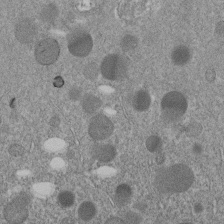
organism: C. elegans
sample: C. elegans embryo early stage